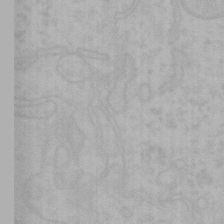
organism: Mouse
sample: Choroid plexus